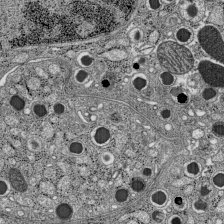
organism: C57BL Mouse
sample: Pancreatic islet